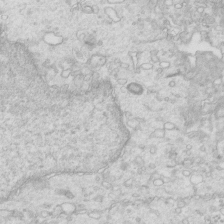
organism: Mouse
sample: Multiciliated cells